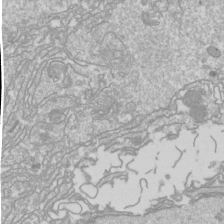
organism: Drosophila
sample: Cell division; meiosis; drosophila spermatocytes